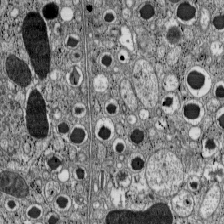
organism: C57BL Mouse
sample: Pancreatic islet